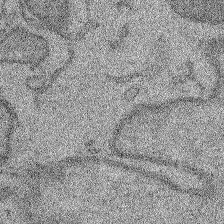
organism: Human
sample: HeLa cells